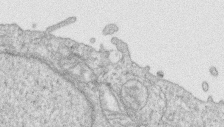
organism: Human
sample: HeLa cell HIV synapse